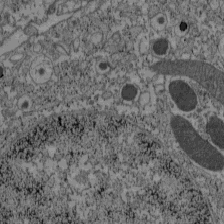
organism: C57BL Mouse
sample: Pancreatic islet